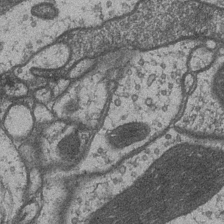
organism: Drosophila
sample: Optic medulla